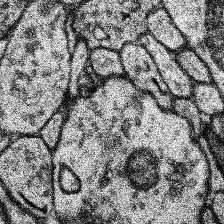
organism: Human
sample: Temporal Lobe